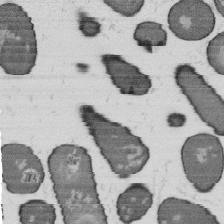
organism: B. subtilis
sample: Bacterial spore